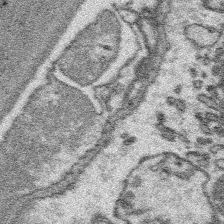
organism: Platynereis dumerilii